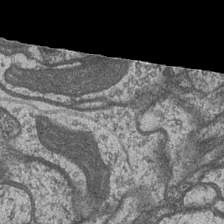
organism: Drosophila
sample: Optic medulla